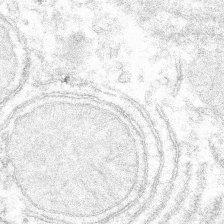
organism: Mouse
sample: Mouse hepatocytes